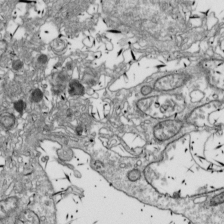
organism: Drosophila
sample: Cell division; meiosis; drosophila spermatocytes